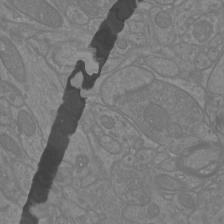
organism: Mouse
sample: Cortical neurons